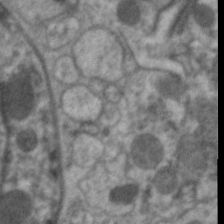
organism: C. elegans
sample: Pharynx